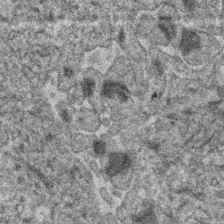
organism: Human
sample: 1205lu cells